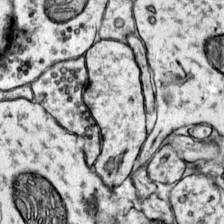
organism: Mouse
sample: Primary visual cortex